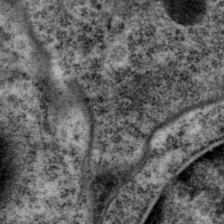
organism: P. pacificus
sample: Pharynx